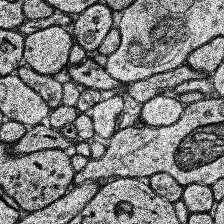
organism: Human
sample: Temporal Lobe